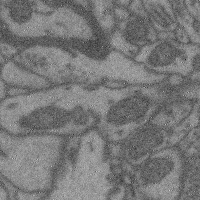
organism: Mouse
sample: Cerebral cortex